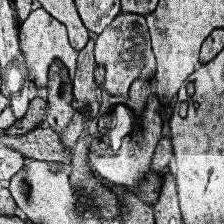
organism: Human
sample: Temporal Lobe